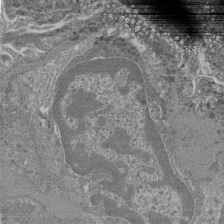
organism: Mouse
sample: Glomerulus